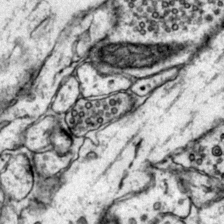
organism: Mouse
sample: Primary visual cortex